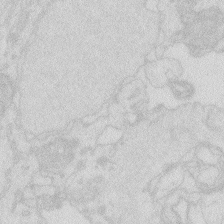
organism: Zebrafish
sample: Macrophage